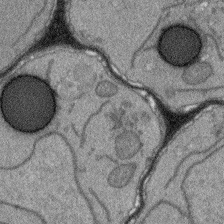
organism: Arabidopsis thaliana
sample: Root tip